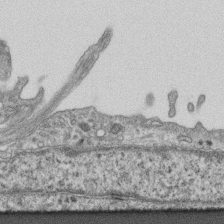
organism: Mouse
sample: Centriole in ependymal cells